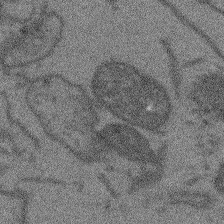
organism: Arabidopsis thaliana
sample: Root tip